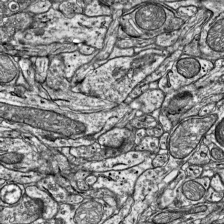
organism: Mouse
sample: Visual Cortex